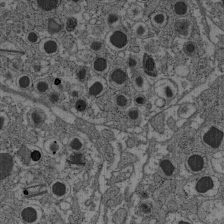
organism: C57BL Mouse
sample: Pancreatic islet